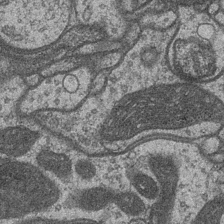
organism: Drosophila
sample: Optic medulla